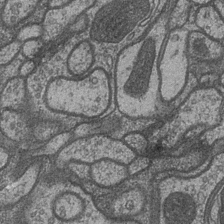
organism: Drosophila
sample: Optic medulla